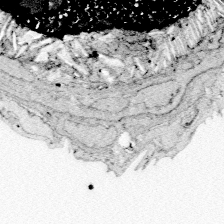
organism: Zebrafish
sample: Whole-Brain